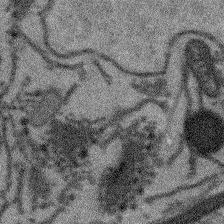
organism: Arabidopsis thaliana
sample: Root tip